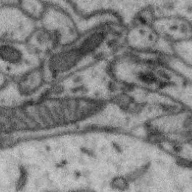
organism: Zebra finch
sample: Brain